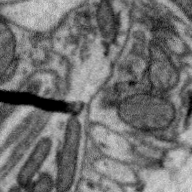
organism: Zebra finch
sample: Brain